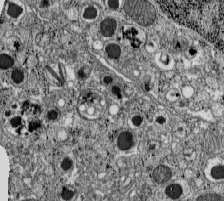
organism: C57BL Mouse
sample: Pancreatic islet